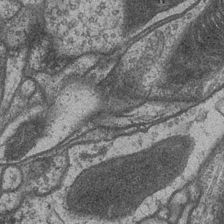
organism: Drosophila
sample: Optic medulla